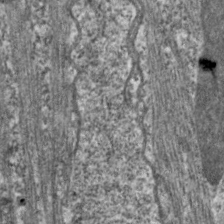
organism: C. elegans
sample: Pharynx